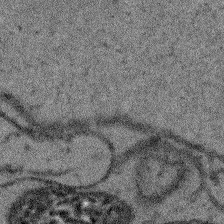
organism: Arabidopsis thaliana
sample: Root tip